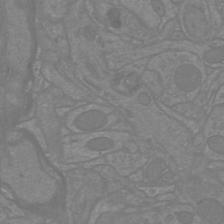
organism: Mouse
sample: Cortical neurons